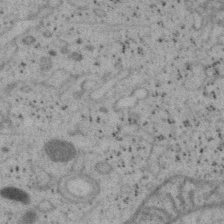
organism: Human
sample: HeLa cells